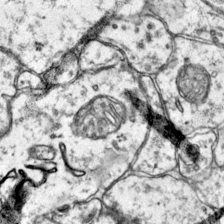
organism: Mouse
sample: Primary visual cortex